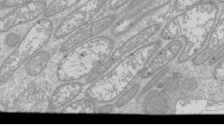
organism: Drosophila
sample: Cell division; meiosis; drosophila spermatocytes